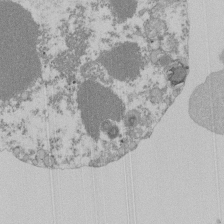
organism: Mouse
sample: Activated Pmel transgenic CD8+ T Cells